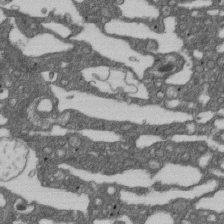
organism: Drosophila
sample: Nephrocyte